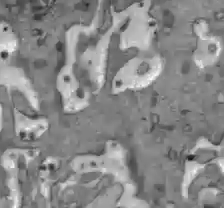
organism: C57BL Mouse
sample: Liver